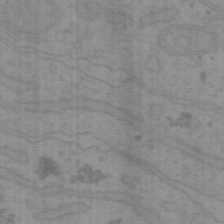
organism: Mouse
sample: Choroid plexus